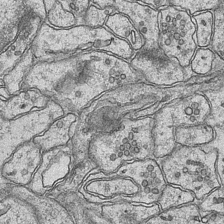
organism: Mouse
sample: CA1 Hippocampus